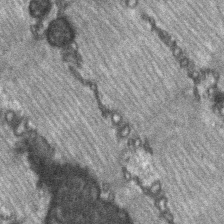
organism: C57BL Mouse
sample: Soleus